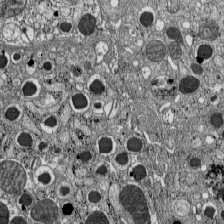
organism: C57BL Mouse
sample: Pancreatic islet